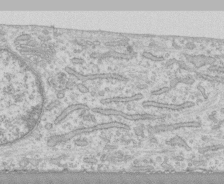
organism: Human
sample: CRL-1474